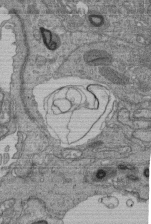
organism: Human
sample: Retinal organoid Rod and Cone cells